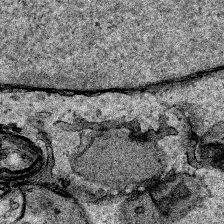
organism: Human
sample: Mitochondria in HCT116 cells